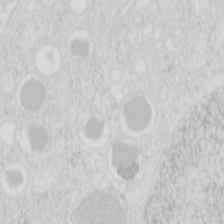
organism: Mouse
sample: Pancreas